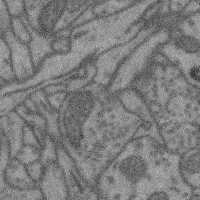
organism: Mouse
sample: Cerebral cortex